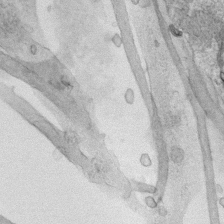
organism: Human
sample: Mitochondria in HCT116 cells